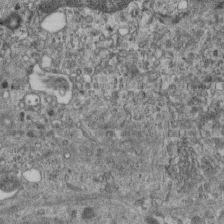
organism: Mouse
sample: Centriole in ependymal cells